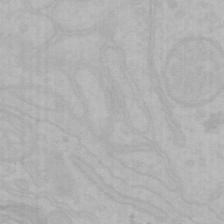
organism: Mouse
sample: Choroid plexus